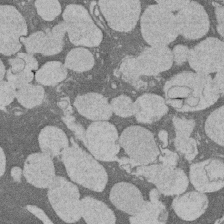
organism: Rat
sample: Salivary granule